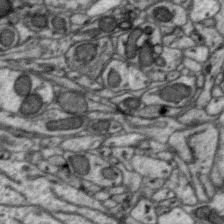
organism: Zebra finch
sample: Brain